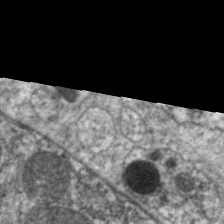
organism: C. elegans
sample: Pharynx